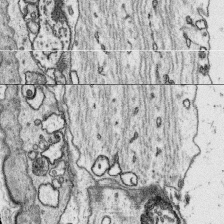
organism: Platynereis dumerilii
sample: Parapodia